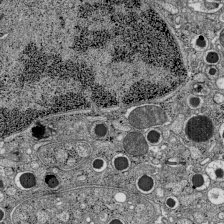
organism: C57BL Mouse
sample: Pancreatic islet